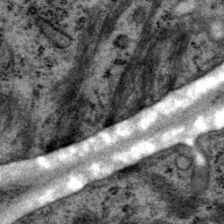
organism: P. pacificus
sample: Pharynx